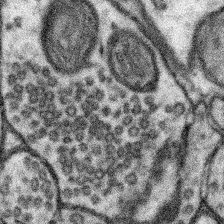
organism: Mouse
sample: Somatosensory cortex neuropil